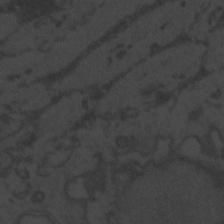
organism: Zebrafish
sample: Macrophage infected with Toxoplasma gondii